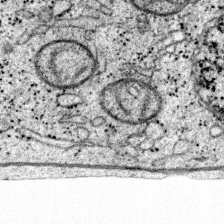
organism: Human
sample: HeLa cells